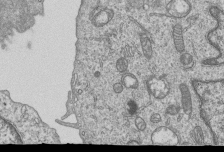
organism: Human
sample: MDA-MB-231 cells